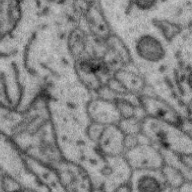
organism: Zebra finch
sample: Brain